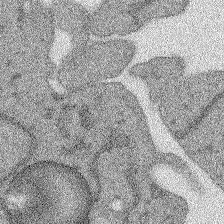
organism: Human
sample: HeLa cells